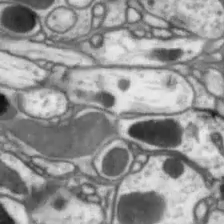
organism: Drosophila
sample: Optic lobe